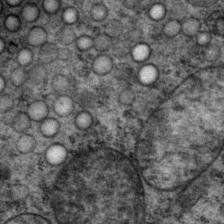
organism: P. pacificus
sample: Pharynx